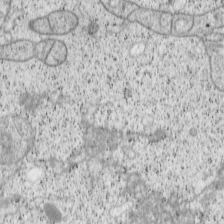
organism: African green monkey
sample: COS-7 cells